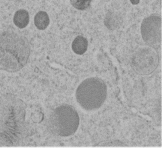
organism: C. elegans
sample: C. elegans embryo early stage